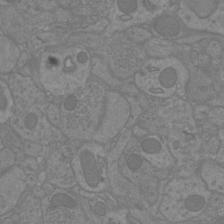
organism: Mouse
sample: Cortical neurons